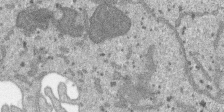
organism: Human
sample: Lung epithelial cells infected with SARS-CoV-2